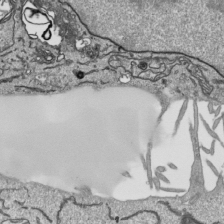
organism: Human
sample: Mitochondria in HCT116 cells